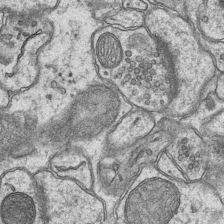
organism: Mouse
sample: CA1 Hippocampus